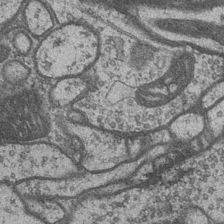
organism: Drosophila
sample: Optic medulla